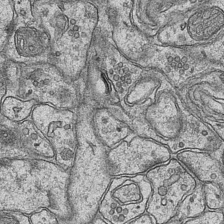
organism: Mouse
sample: CA1 Hippocampus